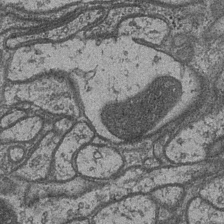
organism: Drosophila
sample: Optic medulla